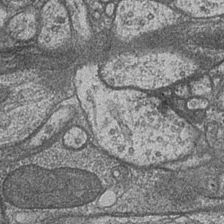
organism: Drosophila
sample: Optic medulla